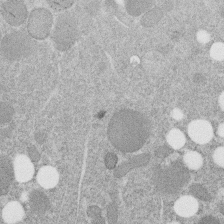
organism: C. elegans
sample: C. elegans embryo early stage